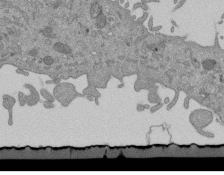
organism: Mouse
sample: ED-1 cell nuclei; centrioles